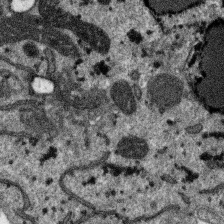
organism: Human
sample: Lung epithelial cells infected with SARS-CoV-2